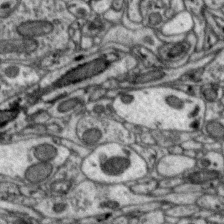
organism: Zebra finch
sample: Brain